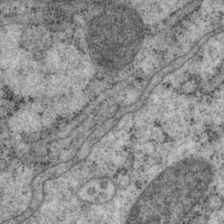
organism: P. pacificus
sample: Pharynx